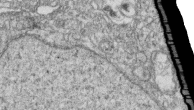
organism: Human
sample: HeLa cell HIV synapse